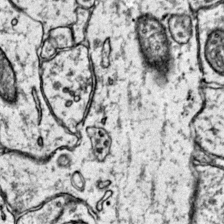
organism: Mouse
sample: Primary visual cortex